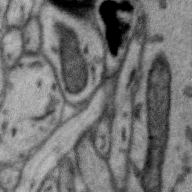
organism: Zebra finch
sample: Brain